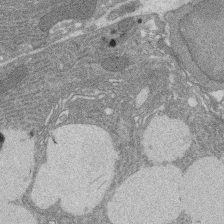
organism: Rat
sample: Salivary granule